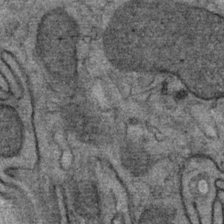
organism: Mouse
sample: Mouse Salivary gland